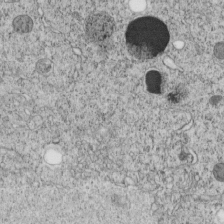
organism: C. elegans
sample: C. elegans embryo early stage